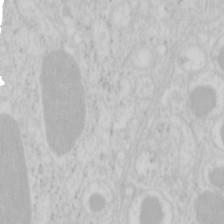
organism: Mouse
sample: Pancreas